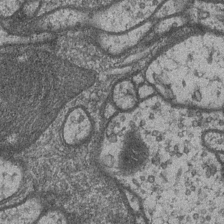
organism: Drosophila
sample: Optic medulla